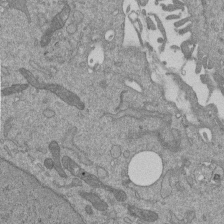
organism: Mouse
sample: ED-1 cell nuclei; centrioles